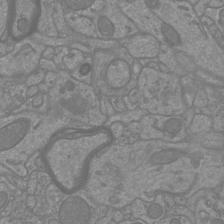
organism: Mouse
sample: Cortical neurons